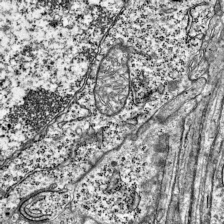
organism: Mouse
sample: Visual Cortex